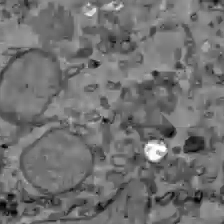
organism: C57BL Mouse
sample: Liver